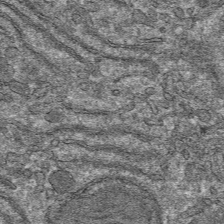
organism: Mouse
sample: Mouse hepatocytes